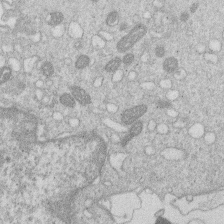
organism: Human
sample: Macrophage cells